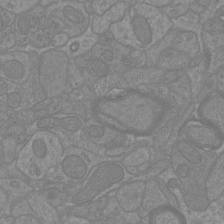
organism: Mouse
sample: Cortical neurons